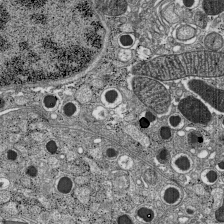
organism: C57BL Mouse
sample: Pancreatic islet